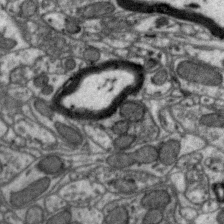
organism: Zebra finch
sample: Brain